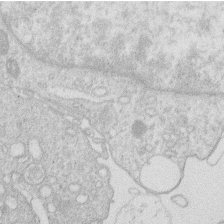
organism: Human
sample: Macrophage cells